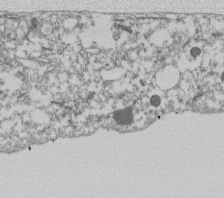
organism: Dictyostelium discoideum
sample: Dictyostelium multivesicular bodies